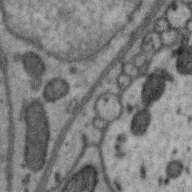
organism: Zebra finch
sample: Brain